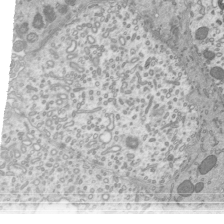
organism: Mouse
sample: Mouse epididymis efferent ductule cilia